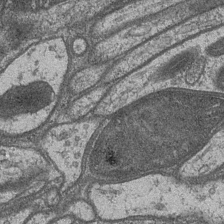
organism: Drosophila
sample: Optic medulla